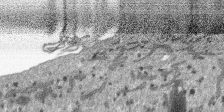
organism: Human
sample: Lung epithelial cells infected with SARS-CoV-2